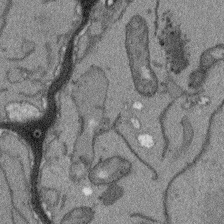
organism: Arabidopsis thaliana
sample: Root tip